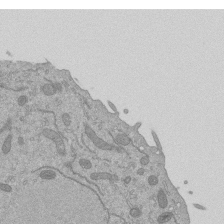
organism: Mouse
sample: ED-1 cell nuclei; centrioles